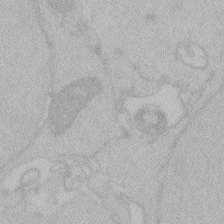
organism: Zebrafish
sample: Macrophage infected with Toxoplasma gondii